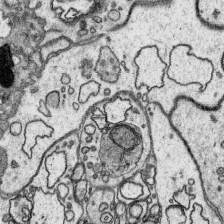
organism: Platynereis dumerilii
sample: Parapodia